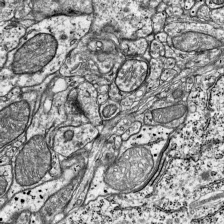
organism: Mouse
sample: Visual Cortex